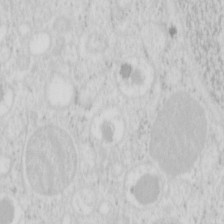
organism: Mouse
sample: Pancreas